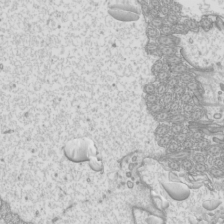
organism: Mouse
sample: Cilia; mouse epididymis